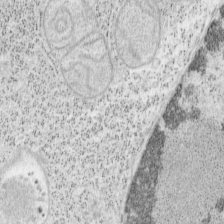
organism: Mouse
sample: OT-I killer T cells with ID8 ovarian cancer cells